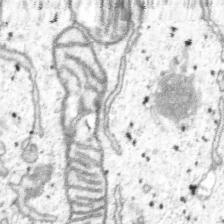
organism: Human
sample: HeLa cells